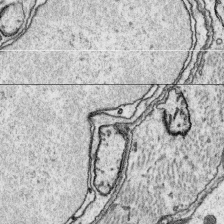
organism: Platynereis dumerilii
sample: Parapodia